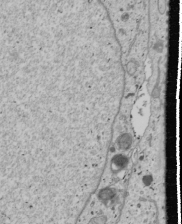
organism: Human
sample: Mitochondria in U2OS cells